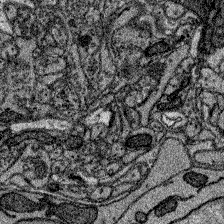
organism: Zebrafish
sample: Larval olfactory bulb